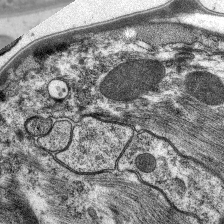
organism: C. elegans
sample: Pharynx